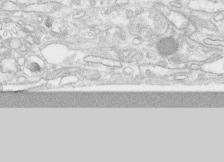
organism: Human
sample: CRL-1474